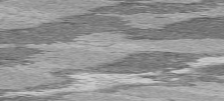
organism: C57BL Mouse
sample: Heart